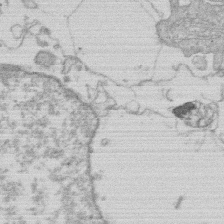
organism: Human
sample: Macrophage cells